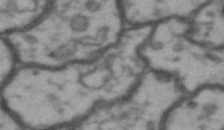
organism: Drosophila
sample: Brain